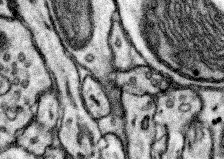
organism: Mouse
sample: Somatosensory cortex neuropil